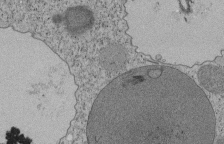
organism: Tetrahymena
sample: Cilia in tetrahymena